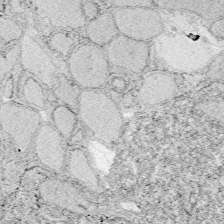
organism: Zebrafish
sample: Whole-Brain